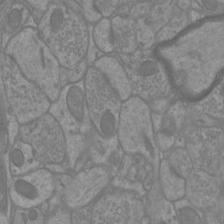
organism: Mouse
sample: Cortical neurons